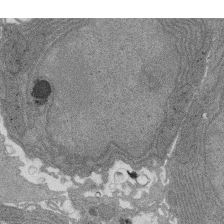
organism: Rat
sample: Salivary granule